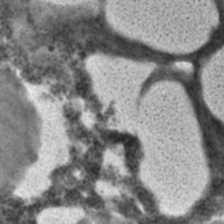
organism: C. elegans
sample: C. elegans embryo